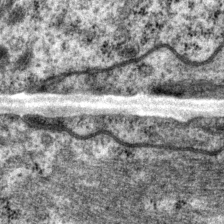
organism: P. pacificus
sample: Pharynx